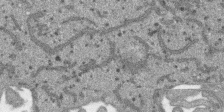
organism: Human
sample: Lung epithelial cells infected with SARS-CoV-2